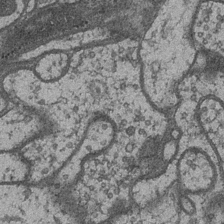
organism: Drosophila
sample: Optic medulla